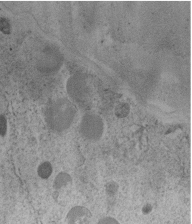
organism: C. elegans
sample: C. elegans embryo early stage